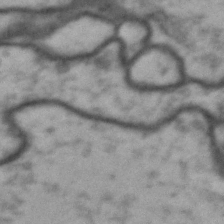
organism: Drosophila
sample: Brain